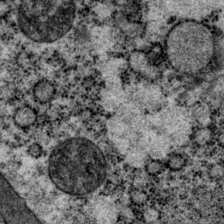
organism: P. pacificus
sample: Pharynx